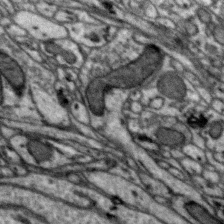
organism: Zebra finch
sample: Brain